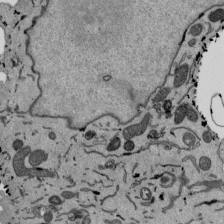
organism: Mouse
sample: ED-1 cell nuclei; centrioles